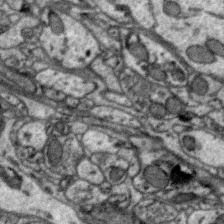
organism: Zebra finch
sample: Brain